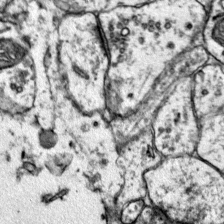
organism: Mouse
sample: Primary visual cortex